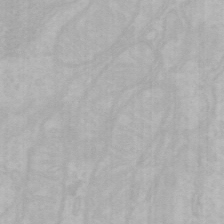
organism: Mouse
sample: Choroid plexus